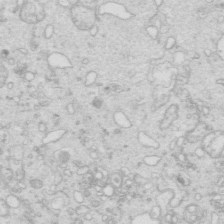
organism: Mouse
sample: Multiciliated cells